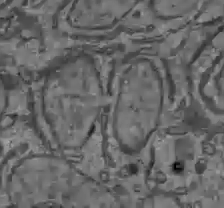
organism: C57BL Mouse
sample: Liver